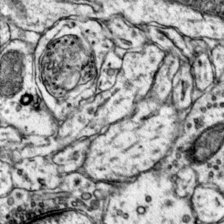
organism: Mouse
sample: Primary visual cortex